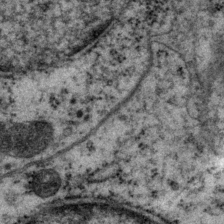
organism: P. pacificus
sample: Pharynx